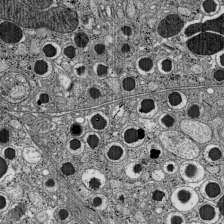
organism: C57BL Mouse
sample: Pancreatic islet